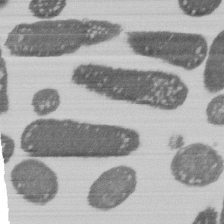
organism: E. coli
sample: Bacterial nucleoid